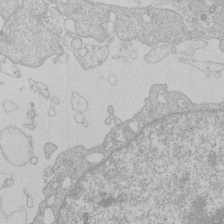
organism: Human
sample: Macrophage cells